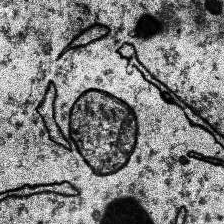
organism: Human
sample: Temporal Lobe